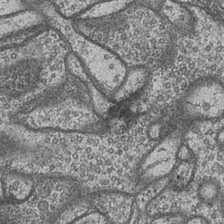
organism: Drosophila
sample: Optic medulla